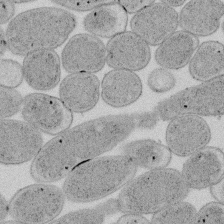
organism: E. coli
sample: Bacterial nucleoid